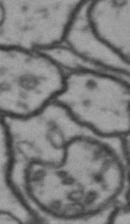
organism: Drosophila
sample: Brain